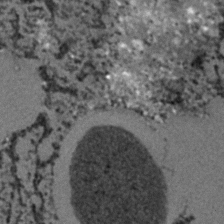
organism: C. elegans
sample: C. elegans embryo